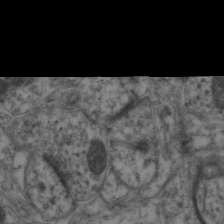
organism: Mouse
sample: Neocortex